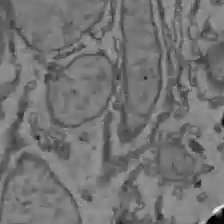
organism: C57BL Mouse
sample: Liver